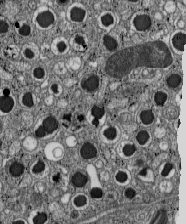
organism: C57BL Mouse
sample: Pancreatic islet